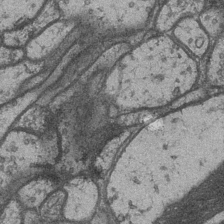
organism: Drosophila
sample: Optic medulla